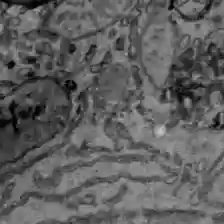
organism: C57BL Mouse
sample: Liver